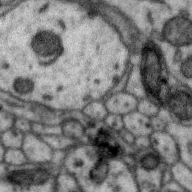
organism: Zebra finch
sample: Brain